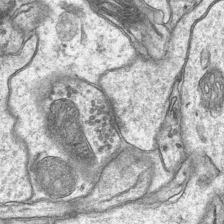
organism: Mouse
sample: CA1 Hippocampus